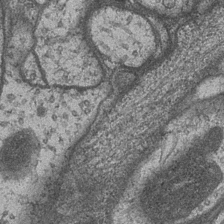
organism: Drosophila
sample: Optic medulla